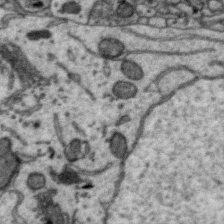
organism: Zebra finch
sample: Brain